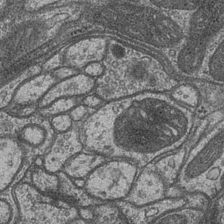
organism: Drosophila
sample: Optic medulla